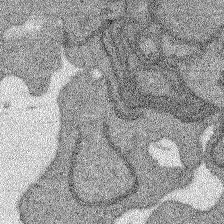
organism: Human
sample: HeLa cells